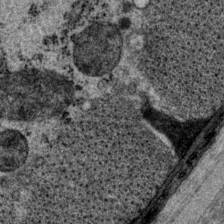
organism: P. pacificus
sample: Pharynx